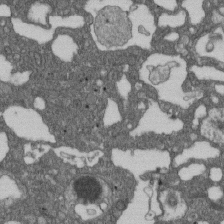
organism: Drosophila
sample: Nephrocyte